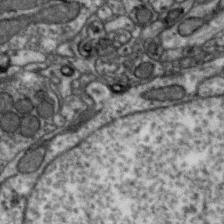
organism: Zebra finch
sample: Brain